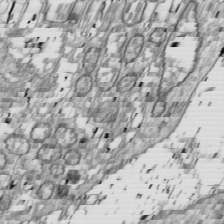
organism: Drosophila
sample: Cell division; meiosis; drosophila spermatocytes